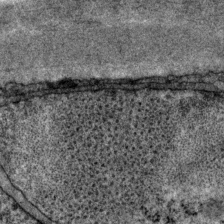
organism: P. pacificus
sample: Pharynx